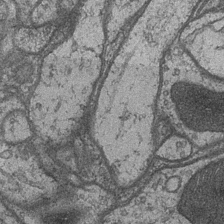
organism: Drosophila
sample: Optic medulla